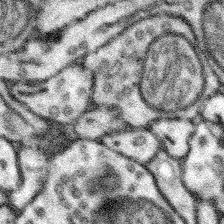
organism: Mouse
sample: Somatosensory cortex neuropil